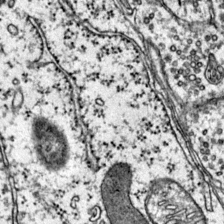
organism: Mouse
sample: Primary visual cortex